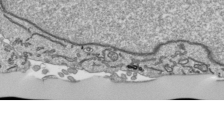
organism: Human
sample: Mitochondria in HCT116 cells